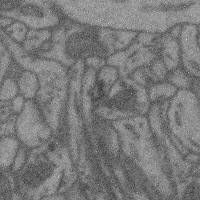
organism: Mouse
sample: Cerebral cortex